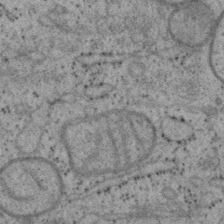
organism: Human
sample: HeLa cells